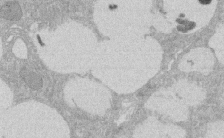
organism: Rat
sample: Salivary granule